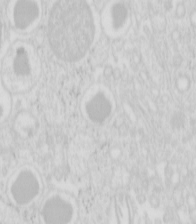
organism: Mouse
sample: Pancreas